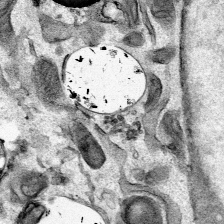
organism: Mouse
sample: Cancer cell death in ED-1 cells